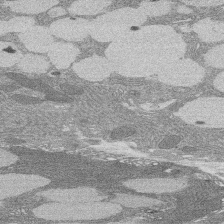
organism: Rat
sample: Salivary granule